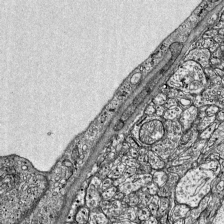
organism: Mouse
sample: Visual Cortex